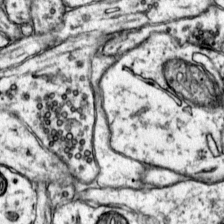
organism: Mouse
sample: Primary visual cortex